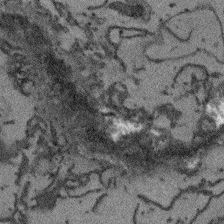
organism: Arabidopsis thaliana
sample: Root tip